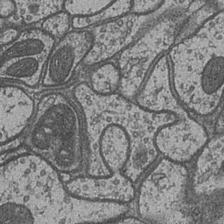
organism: Drosophila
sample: Optic medulla